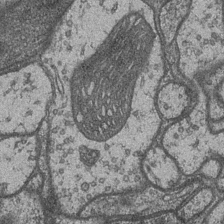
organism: Drosophila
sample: Optic medulla